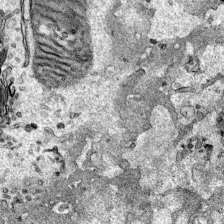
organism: Human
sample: Mitochondria in HCT116 cells